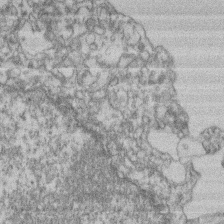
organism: Mouse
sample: T cell stromal cell synapse